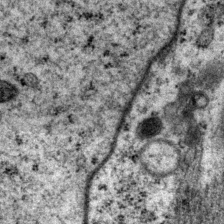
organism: P. pacificus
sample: Pharynx